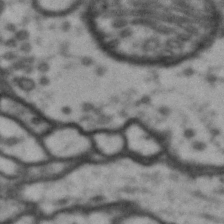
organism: Drosophila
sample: Brain